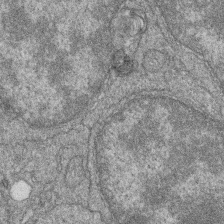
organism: Zebrafish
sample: Cilia; retinal pigment epithelium